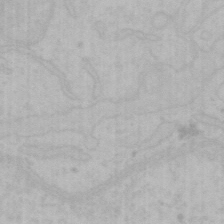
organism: Mouse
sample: Choroid plexus